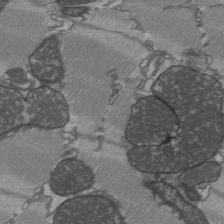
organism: C57BL Mouse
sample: Heart